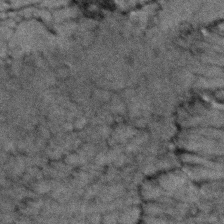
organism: Zebrafish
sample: Zebrafish embryo